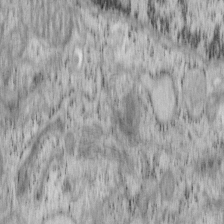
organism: Human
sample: HeLa cells